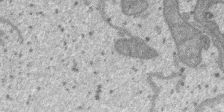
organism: Human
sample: Lung epithelial cells infected with SARS-CoV-2